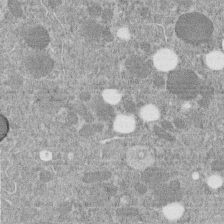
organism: C. elegans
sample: C. elegans embryo early stage